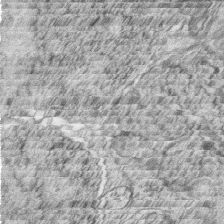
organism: Zebrafish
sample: synaptic ribbons in rod cells and cone cells